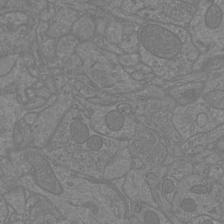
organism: Mouse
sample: Cortical neurons